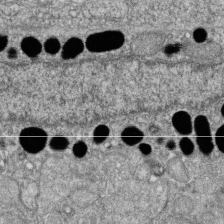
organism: Zebrafish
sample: Cilia; retinal pigment epithelium